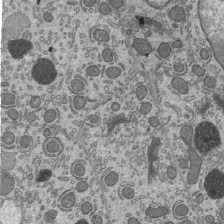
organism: Mouse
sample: Mouse epididymis efferent ductule cilia